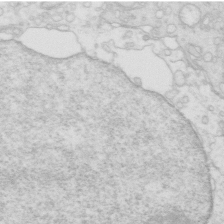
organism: Mouse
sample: Multiciliated cells